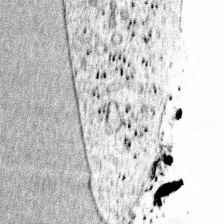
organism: Human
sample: HeLa cells